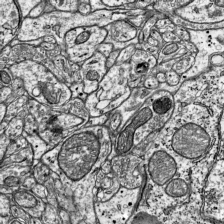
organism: Mouse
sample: Visual Cortex